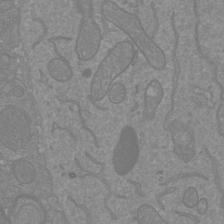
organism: Mouse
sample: Cortical neurons